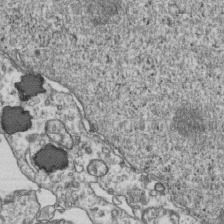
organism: Human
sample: Activated Jurkat CD4+ T cells